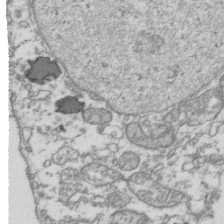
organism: Human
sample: Activated Jurkat CD4+ T cells